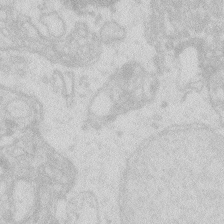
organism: Zebrafish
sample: Macrophage